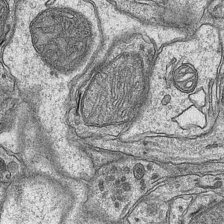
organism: Mouse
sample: CA1 Hippocampus